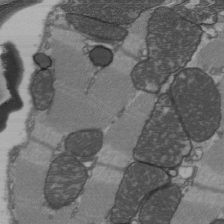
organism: C57BL Mouse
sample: Heart